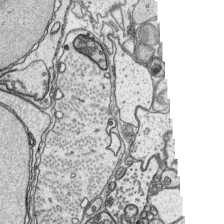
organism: Platynereis dumerilii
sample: Parapodia